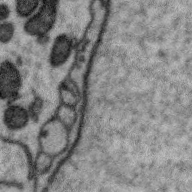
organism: Zebra finch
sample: Brain